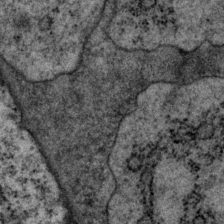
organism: P. pacificus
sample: Pharynx